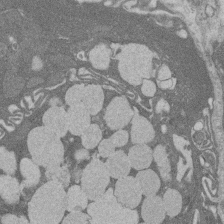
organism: Rat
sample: Salivary granule